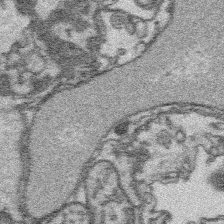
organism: Platynereis dumerilii